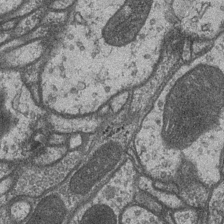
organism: Drosophila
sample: Optic medulla